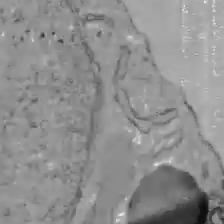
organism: C57BL Mouse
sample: Liver